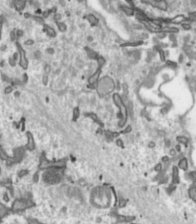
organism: Toxoplasma gondii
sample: Parasites in a vacuole inside a host cell